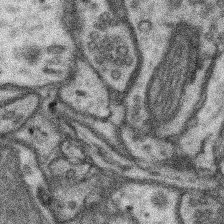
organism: Mouse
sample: Somatosensory cortex neuropil